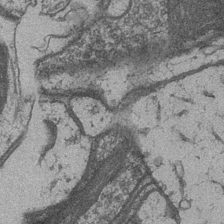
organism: Drosophila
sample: Optic medulla